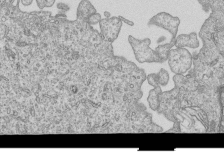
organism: Human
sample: MDA-MB-231 cells